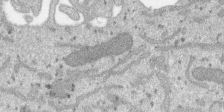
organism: Human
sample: Lung epithelial cells infected with SARS-CoV-2